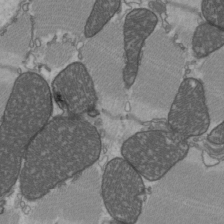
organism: C57BL Mouse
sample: Heart